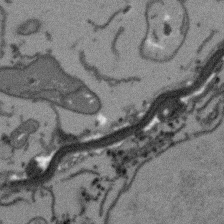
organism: Arabidopsis thaliana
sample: Root tip